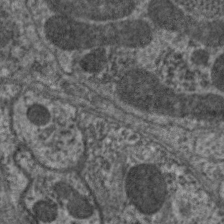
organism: C. elegans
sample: Pharynx